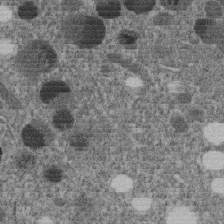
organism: C. elegans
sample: C. elegans embryo early stage